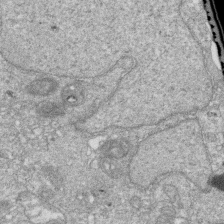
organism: Human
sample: HeLa cell HIV synapse